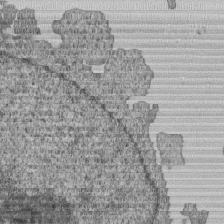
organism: Human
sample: MDA-MB-231 cells